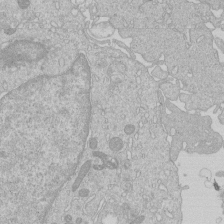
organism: Human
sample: Macrophage cells